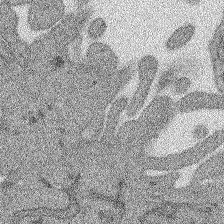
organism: Human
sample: HeLa cells